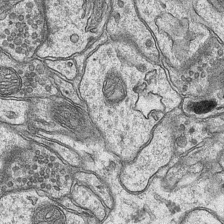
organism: Mouse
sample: CA1 Hippocampus